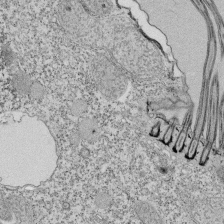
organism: Tetrahymena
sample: Cilia in tetrahymena